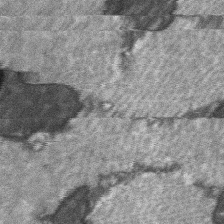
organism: C57BL Mouse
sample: Soleus